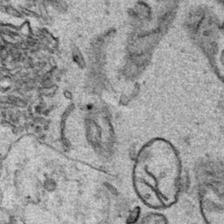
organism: Human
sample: Mitochondria in HCT116 cells